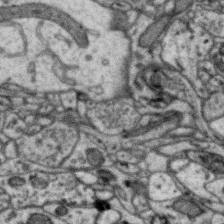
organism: Zebra finch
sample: Brain